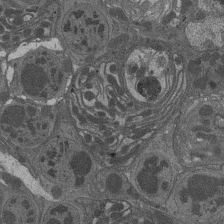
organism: Drosophila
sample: Antenna